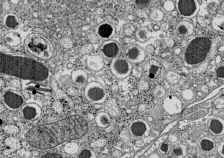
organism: C57BL Mouse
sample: Pancreatic islet